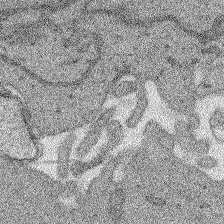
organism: Human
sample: HeLa cells